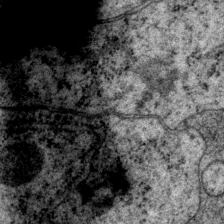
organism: P. pacificus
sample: Pharynx